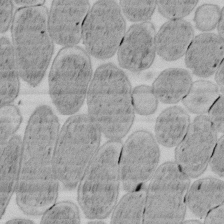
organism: E. coli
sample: Bacterial nucleoid